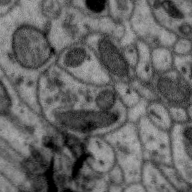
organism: Zebra finch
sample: Brain